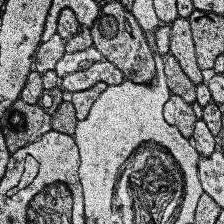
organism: Human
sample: Temporal Lobe